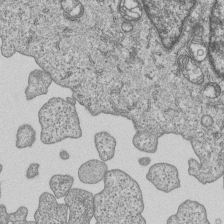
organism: Human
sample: MDA-MB-231 cells